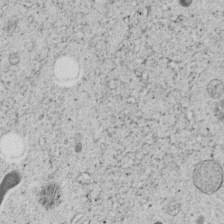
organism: C. elegans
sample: C. elegans embryo early stage